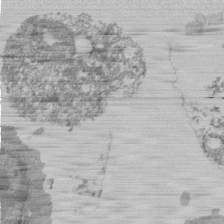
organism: Mouse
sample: Activated Pmel transgenic CD8+ T Cells